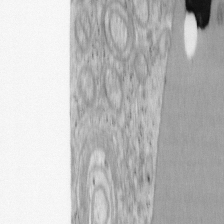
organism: Human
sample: HeLa cells